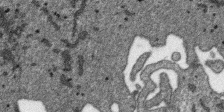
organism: Human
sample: Lung epithelial cells infected with SARS-CoV-2